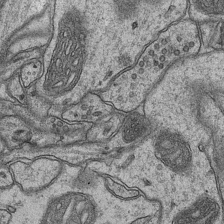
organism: Mouse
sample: CA1 Hippocampus